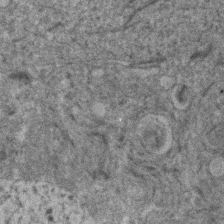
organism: Human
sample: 1205lu cells